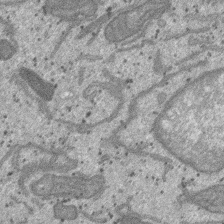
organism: Human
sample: Lung epithelial cells infected with SARS-CoV-2